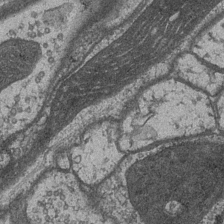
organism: Drosophila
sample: Optic medulla